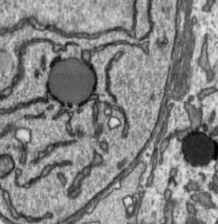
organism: Toxoplasma gondii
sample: Parasites in a vacuole inside a host cell